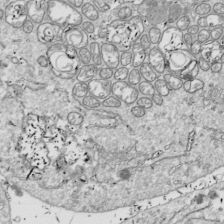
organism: Drosophila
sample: Cell division; meiosis; drosophila spermatocytes